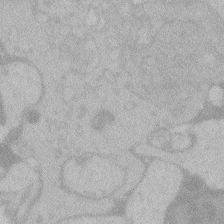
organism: Zebrafish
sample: Macrophage infected with Toxoplasma gondii